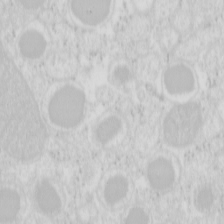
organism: Mouse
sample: Pancreas